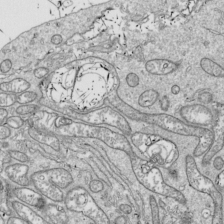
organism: Drosophila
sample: Cell division; meiosis; drosophila spermatocytes